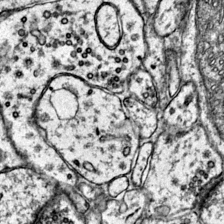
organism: Mouse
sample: Primary visual cortex